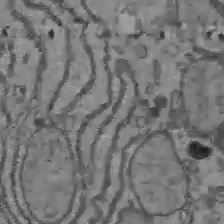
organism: C57BL Mouse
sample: Liver